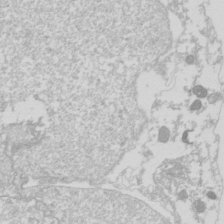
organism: Drosophila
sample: Cell division; meiosis; drosophila spermatocytes